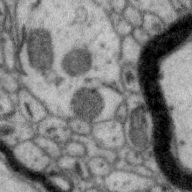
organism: Zebra finch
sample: Brain